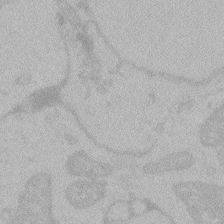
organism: Zebrafish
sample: Macrophage infected with Toxoplasma gondii